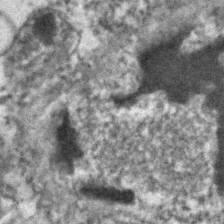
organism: Human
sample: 1205lu cells